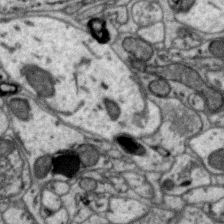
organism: Zebra finch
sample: Brain